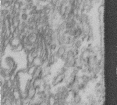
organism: Human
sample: Centriole in fibroblast cells